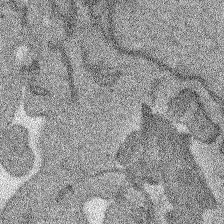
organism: Human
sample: HeLa cells